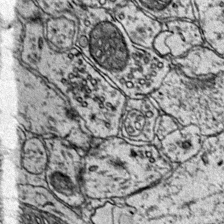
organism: Mouse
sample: Primary visual cortex